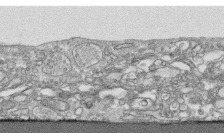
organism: Human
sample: CRL-1474